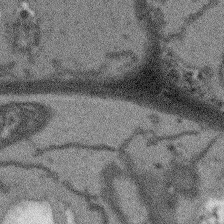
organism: Arabidopsis thaliana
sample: Root tip